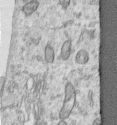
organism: Human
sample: Centriole in RPE cells